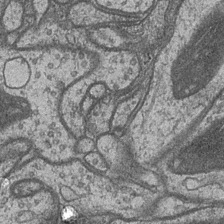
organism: Drosophila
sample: Optic medulla